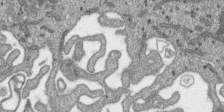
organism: Human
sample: Lung epithelial cells infected with SARS-CoV-2